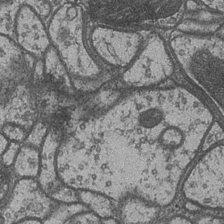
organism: Drosophila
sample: Optic medulla